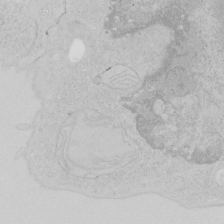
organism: Human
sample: Mitochondria in HCT116 cells